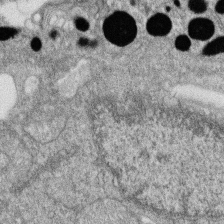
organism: Zebrafish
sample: Cilia; retinal pigment epithelium